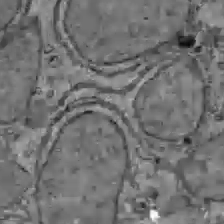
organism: C57BL Mouse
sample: Liver